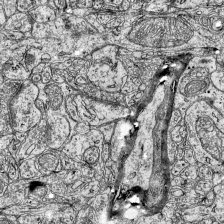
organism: Mouse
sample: Visual Cortex